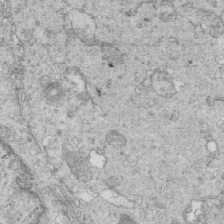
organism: Mouse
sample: Multiciliated cells